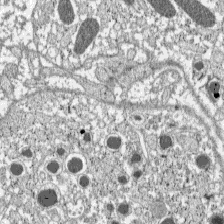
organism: C57BL Mouse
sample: Pancreatic islet